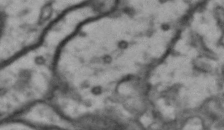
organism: Drosophila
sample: Brain